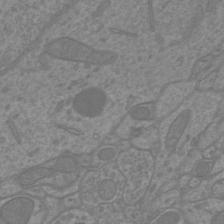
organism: Mouse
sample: Cortical neurons